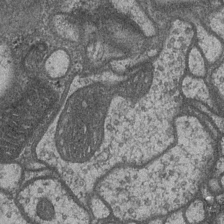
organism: Drosophila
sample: Optic medulla